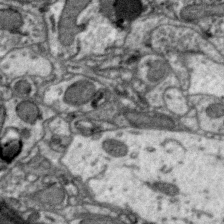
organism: Zebra finch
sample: Brain